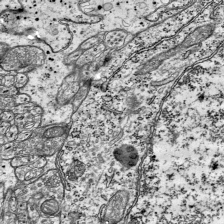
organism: Mouse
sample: Visual Cortex